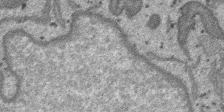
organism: Human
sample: Lung epithelial cells infected with SARS-CoV-2